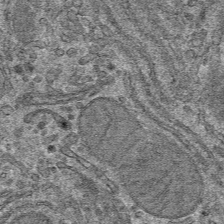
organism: Mouse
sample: Mouse hepatocytes